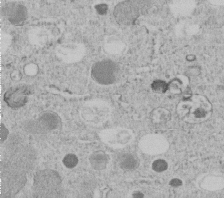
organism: C. elegans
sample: C. elegans embryo early stage